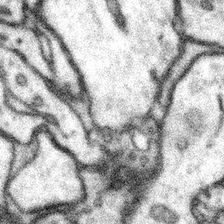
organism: Mouse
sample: Somatosensory cortex neuropil